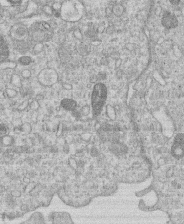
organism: Human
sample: Macrophage cells